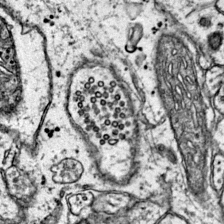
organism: Mouse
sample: Primary visual cortex